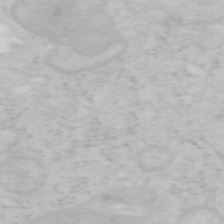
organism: Mouse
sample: OT-I killer T cells with ID8 ovarian cancer cells